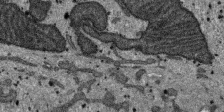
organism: Human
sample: Lung epithelial cells, uninfected (mock) control